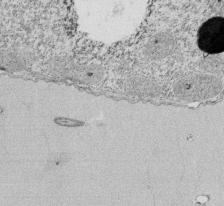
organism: Tetrahymena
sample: Cilia in tetrahymena